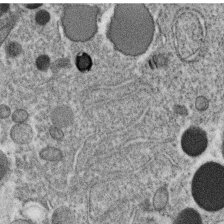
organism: C. elegans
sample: C. elegans oocyte; sperm cells